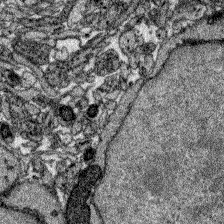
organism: Zebrafish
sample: Larval olfactory bulb